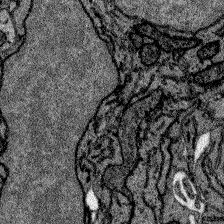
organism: Zebrafish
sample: Larval olfactory bulb